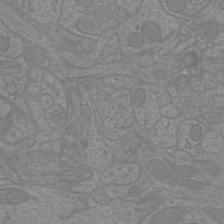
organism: Mouse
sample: Cortical neurons